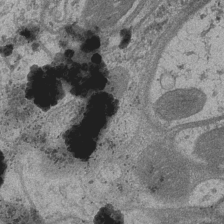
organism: Drosophila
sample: Optic medulla